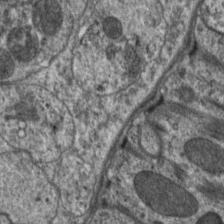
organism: C. elegans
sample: Pharynx